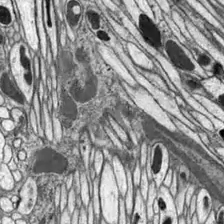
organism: Drosophila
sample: Optic lobe